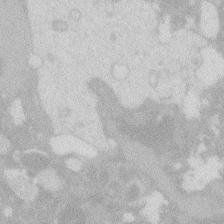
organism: Zebrafish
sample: Macrophage